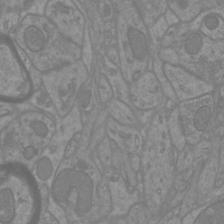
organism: Mouse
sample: Cortical neurons